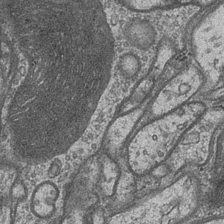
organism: Drosophila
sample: Optic medulla